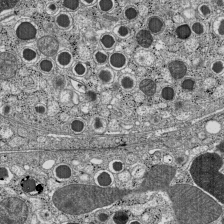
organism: C57BL Mouse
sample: Pancreatic islet